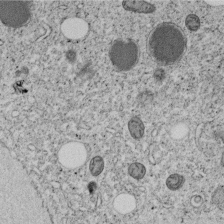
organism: C. elegans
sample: C. elegans embryo early stage